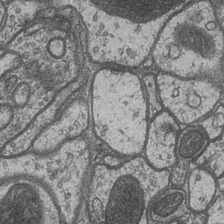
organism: Drosophila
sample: Optic medulla